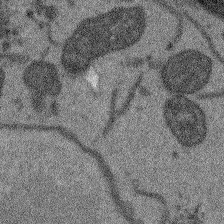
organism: Arabidopsis thaliana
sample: Root tip